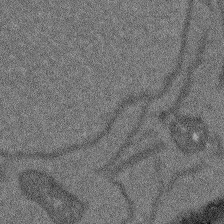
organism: Arabidopsis thaliana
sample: Root tip